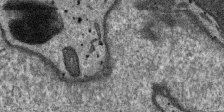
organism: Human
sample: Lung epithelial cells, uninfected (mock) control